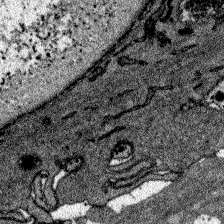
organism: Zebrafish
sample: Larval olfactory bulb